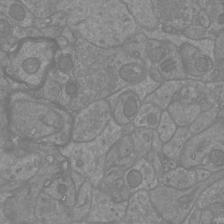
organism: Mouse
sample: Cortical neurons